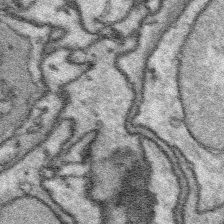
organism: Platynereis dumerilii